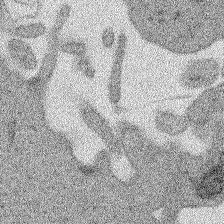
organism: Human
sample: HeLa cells